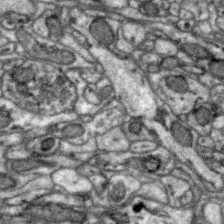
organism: Zebra finch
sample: Brain